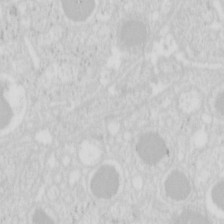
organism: Mouse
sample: Pancreas